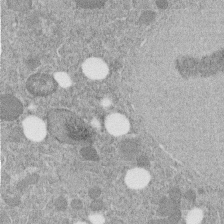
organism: C. elegans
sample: C. elegans embryo early stage